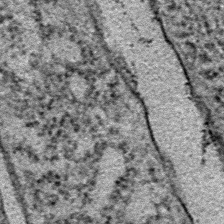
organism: E. coli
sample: E. Coli Bacteria